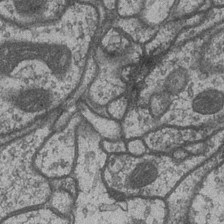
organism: Drosophila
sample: Optic medulla